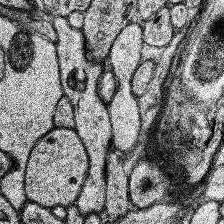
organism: Human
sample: Temporal Lobe